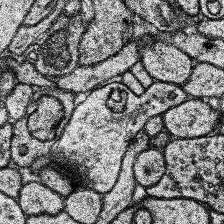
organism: Human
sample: Temporal Lobe